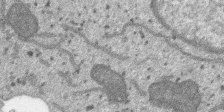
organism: Human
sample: Lung epithelial cells infected with SARS-CoV-2